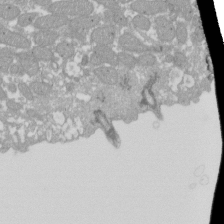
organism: Xenopus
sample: Cilia; centrioles in frog embryo cells